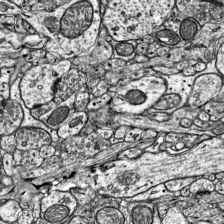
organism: Mouse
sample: Visual Cortex